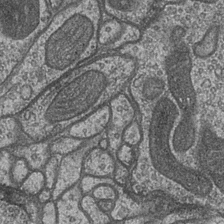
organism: Drosophila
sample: Optic medulla